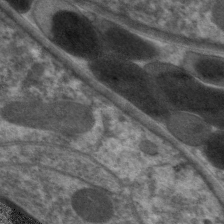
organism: C. elegans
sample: Pharynx